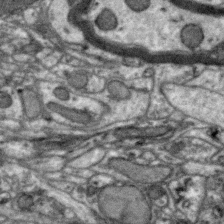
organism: Zebra finch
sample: Brain